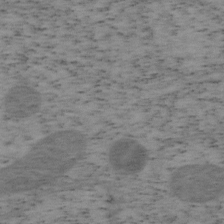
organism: Mouse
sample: OT-I killer T cells with ID8 ovarian cancer cells